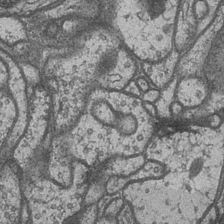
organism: Drosophila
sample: Optic medulla